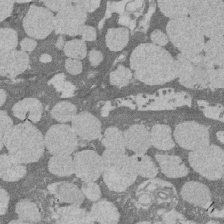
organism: Rat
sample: Salivary granule